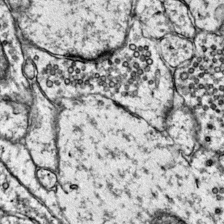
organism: Mouse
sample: Primary visual cortex